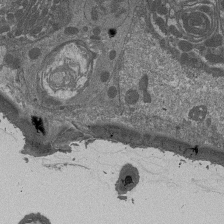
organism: Drosophila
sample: Antenna